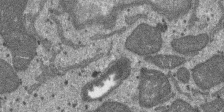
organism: Human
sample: Lung epithelial cells infected with SARS-CoV-2